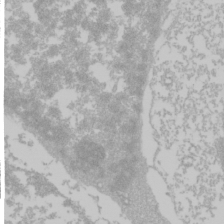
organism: Mouse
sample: Cancer cell death in ED-1 cells